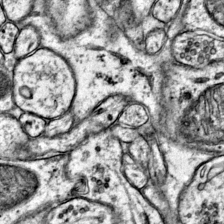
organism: Mouse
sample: Primary visual cortex